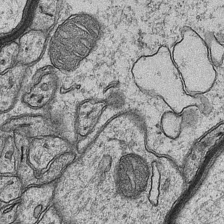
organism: Mouse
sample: CA1 Hippocampus